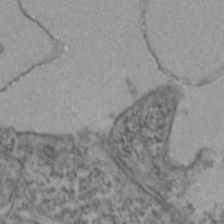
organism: Zebrafish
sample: Zebrafish embryo